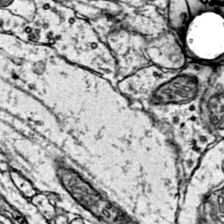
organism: Mouse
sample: Primary visual cortex